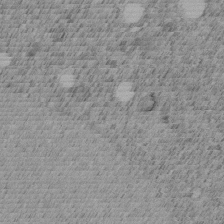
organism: C. elegans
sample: C. elegans embryo early stage